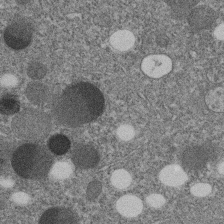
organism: C. elegans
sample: C. elegans embryo early stage